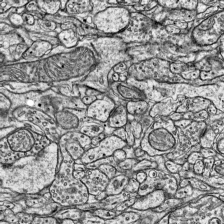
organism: Mouse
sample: Visual Cortex